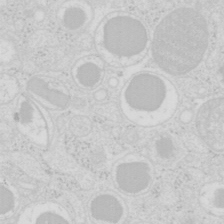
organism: Mouse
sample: Pancreas